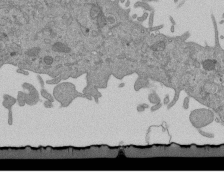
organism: Mouse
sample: ED-1 cell nuclei; centrioles